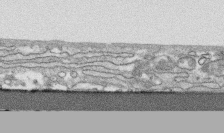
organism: Human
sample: CRL-1474